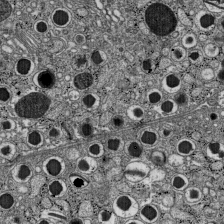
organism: C57BL Mouse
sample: Pancreatic islet